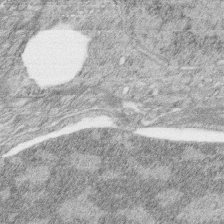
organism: Zebrafish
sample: synaptic ribbons in rod cells and cone cells